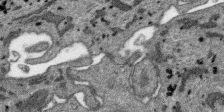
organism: Human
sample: Lung epithelial cells, uninfected (mock) control